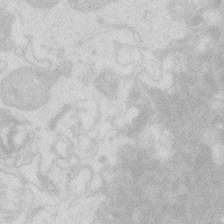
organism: Zebrafish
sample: Macrophage